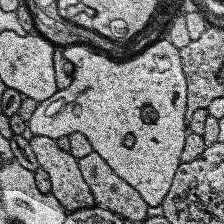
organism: Human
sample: Temporal Lobe